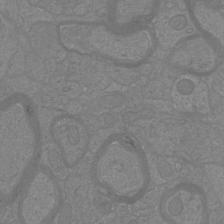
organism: Mouse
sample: Cortical neurons